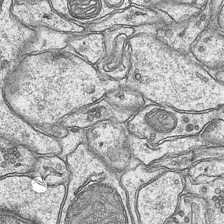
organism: Mouse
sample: CA1 Hippocampus